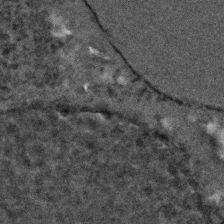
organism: C. elegans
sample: C. elegans embryo